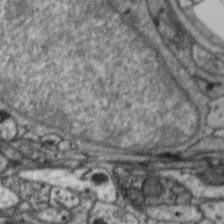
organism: Zebra finch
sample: Brain